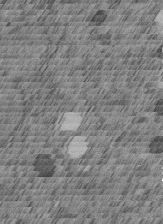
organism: C. elegans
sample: C. elegans embryo early stage